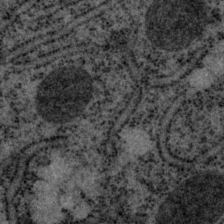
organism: P. pacificus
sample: Pharynx